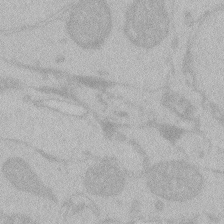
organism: Zebrafish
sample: Macrophage infected with Toxoplasma gondii